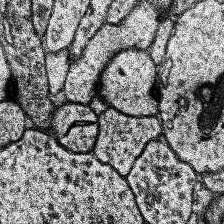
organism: Human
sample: Temporal Lobe